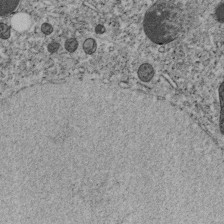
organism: C. elegans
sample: C. elegans embryo early stage